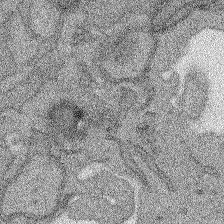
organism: Human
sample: HeLa cells